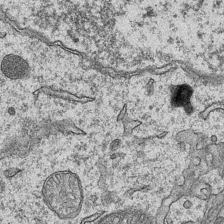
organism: Mouse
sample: CA1 Hippocampus